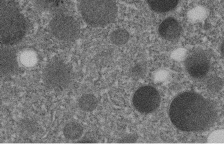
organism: C. elegans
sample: C. elegans embryo early stage